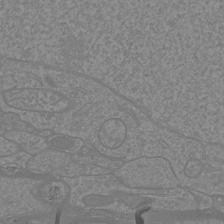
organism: Mouse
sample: Cortical neurons